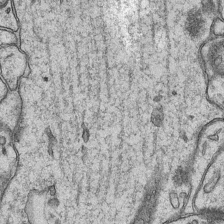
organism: Mouse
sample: CA1 Hippocampus